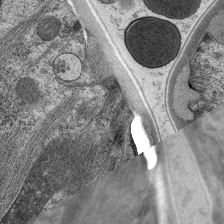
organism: C. elegans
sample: Pharynx